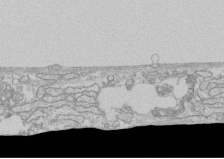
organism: Human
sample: CRL-1474